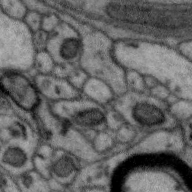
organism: Zebra finch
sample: Brain